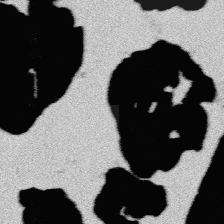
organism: Platynereis dumerilii